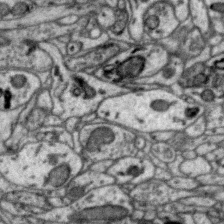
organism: Zebra finch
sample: Brain